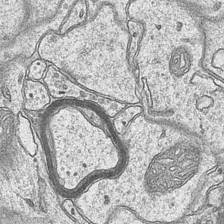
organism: Mouse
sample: CA1 Hippocampus